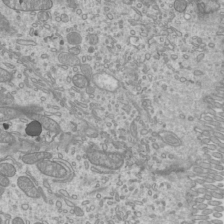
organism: Mouse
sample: Cilia; mouse epididymis